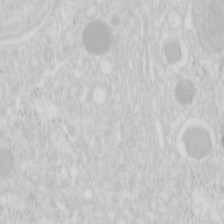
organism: Mouse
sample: Pancreas